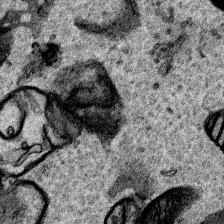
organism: Human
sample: Mitochondria in HCT116 cells